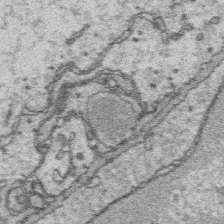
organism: Platynereis dumerilii